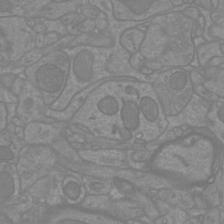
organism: Mouse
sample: Cortical neurons